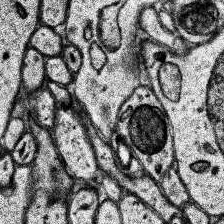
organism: Human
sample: Temporal Lobe